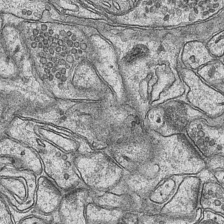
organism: Mouse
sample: CA1 Hippocampus